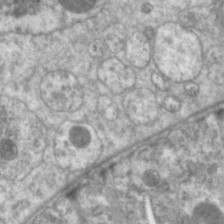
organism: C. elegans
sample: Pharynx